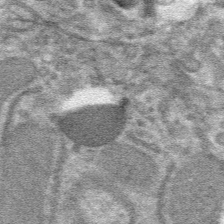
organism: Mouse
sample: Mouse hepatocytes